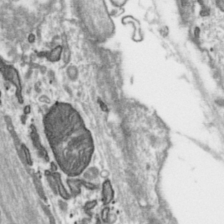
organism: Toxoplasma gondii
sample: Parasites in a vacuole inside a host cell